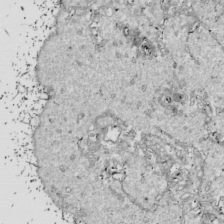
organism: Drosophila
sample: Cell division; meiosis; drosophila spermatocytes